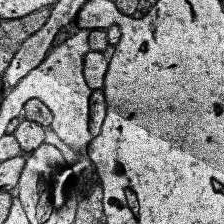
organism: Human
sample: Temporal Lobe